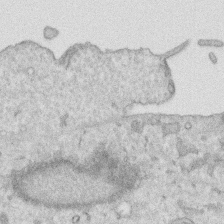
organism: Human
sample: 1205lu cells